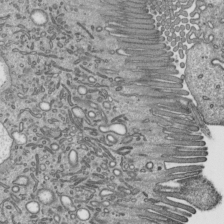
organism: Mouse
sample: Mouse epididymis efferent ductule cilia